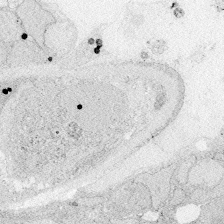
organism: Zebrafish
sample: Whole-Brain